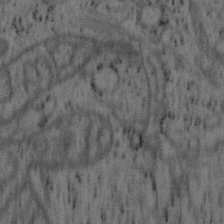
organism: Human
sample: HeLa cells